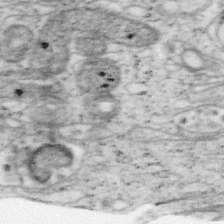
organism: Mouse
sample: OT-I killer T cells with ID8 ovarian cancer cells